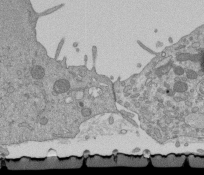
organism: Mouse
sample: ED-1 cell nuclei; centrioles